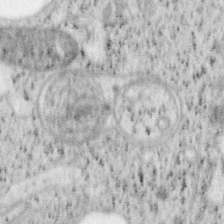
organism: Mouse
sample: OT-I killer T cells with ID8 ovarian cancer cells